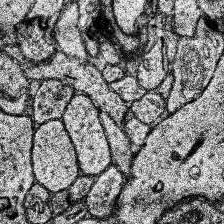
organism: Human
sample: Temporal Lobe